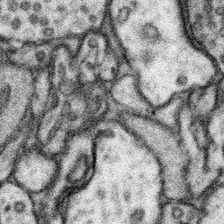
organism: Mouse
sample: Somatosensory cortex neuropil